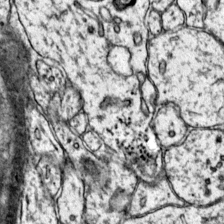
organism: Mouse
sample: Primary visual cortex